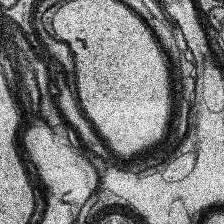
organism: Human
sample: Temporal Lobe